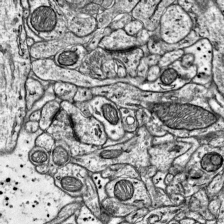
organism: Mouse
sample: Visual Cortex